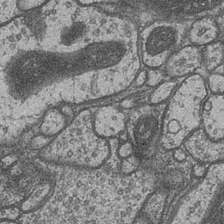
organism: Drosophila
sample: Optic medulla